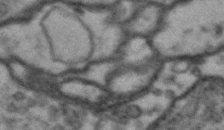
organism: Drosophila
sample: Brain